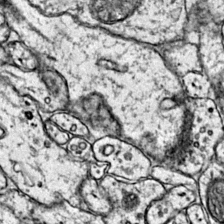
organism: Mouse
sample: Primary visual cortex